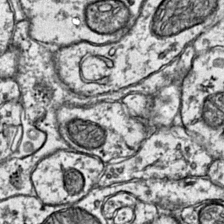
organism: Mouse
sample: Primary visual cortex